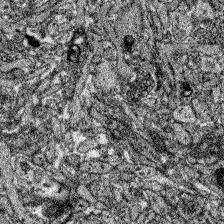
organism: Zebrafish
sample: Larval olfactory bulb